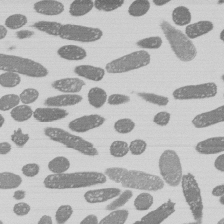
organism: E. coli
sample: Bacterial nucleoid